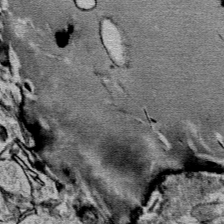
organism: Mouse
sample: Mouse Salivary gland